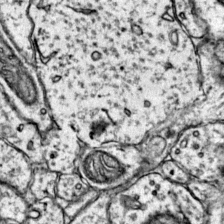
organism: Mouse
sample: Primary visual cortex